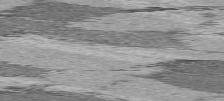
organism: C57BL Mouse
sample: Heart